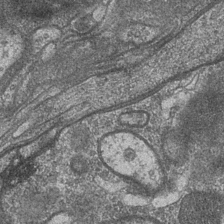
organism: Drosophila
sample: Optic medulla